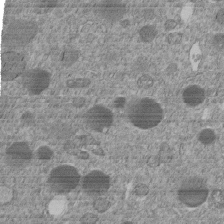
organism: C. elegans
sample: C. elegans embryo early stage